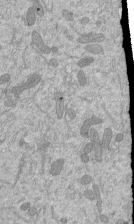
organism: Mouse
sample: ED-1 cell nuclei; centrioles